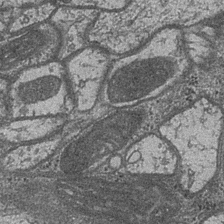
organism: Drosophila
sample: Optic medulla